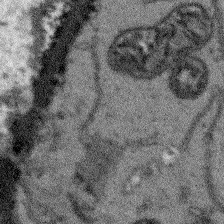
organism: Arabidopsis thaliana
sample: Root tip